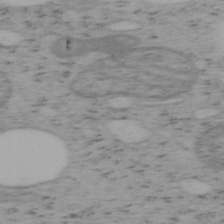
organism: Mouse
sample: OT-I killer T cells with ID8 ovarian cancer cells